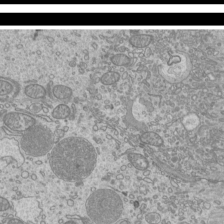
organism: Mouse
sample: Cilia; mouse epididymis